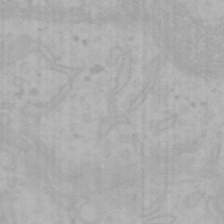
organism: Mouse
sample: Choroid plexus